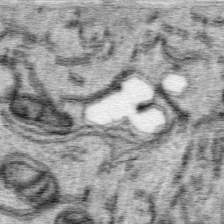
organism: Human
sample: HeLa cells